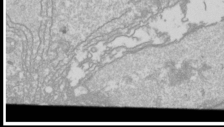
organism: Drosophila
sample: Cell division; meiosis; drosophila spermatocytes